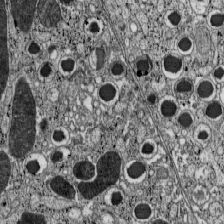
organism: C57BL Mouse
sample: Pancreatic islet